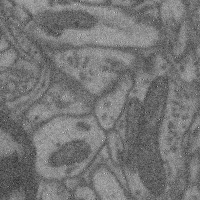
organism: Mouse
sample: Cerebral cortex